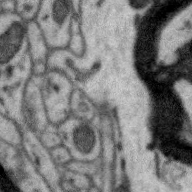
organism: Zebra finch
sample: Brain